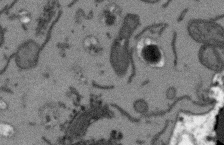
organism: Arabidopsis thaliana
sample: Root tip